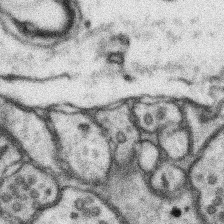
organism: Mouse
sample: Somatosensory cortex neuropil